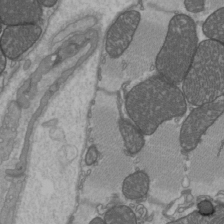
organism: C57BL Mouse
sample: Heart